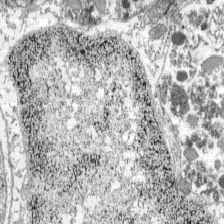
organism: C57BL Mouse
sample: Pancreatic islet